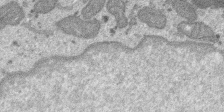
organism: Human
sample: Lung epithelial cells infected with SARS-CoV-2